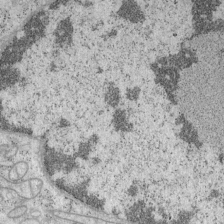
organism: Mouse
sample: OT-I killer T cells with ID8 ovarian cancer cells